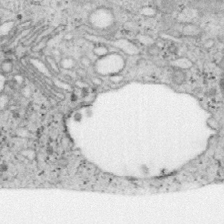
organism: Mouse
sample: OT-I killer T cells with ID8 ovarian cancer cells